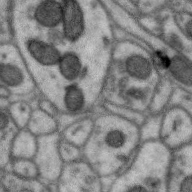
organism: Zebra finch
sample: Brain